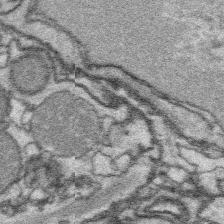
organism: Platynereis dumerilii